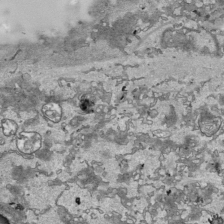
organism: Human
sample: Mitochondria in HCT116 cells